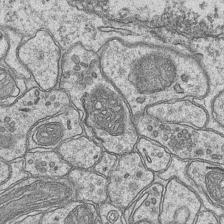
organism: Mouse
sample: CA1 Hippocampus